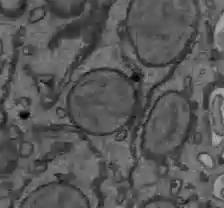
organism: C57BL Mouse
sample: Liver